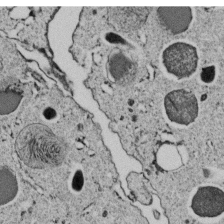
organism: C. elegans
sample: C. elegans embryo early stage